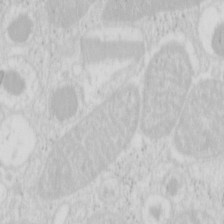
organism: Mouse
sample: Pancreas